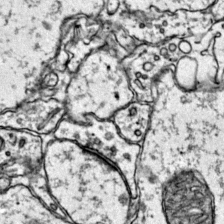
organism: Mouse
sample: Primary visual cortex